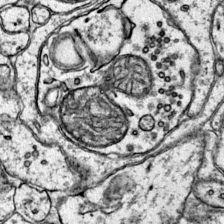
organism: Mouse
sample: Primary visual cortex